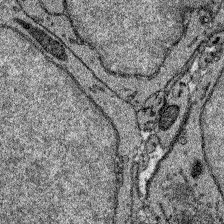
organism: Zebrafish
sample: Larval olfactory bulb